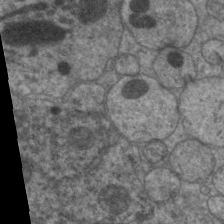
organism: C. elegans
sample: Pharynx